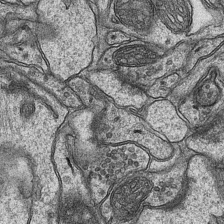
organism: Mouse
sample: CA1 Hippocampus